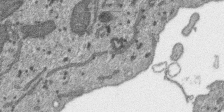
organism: Human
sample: Lung epithelial cells infected with SARS-CoV-2